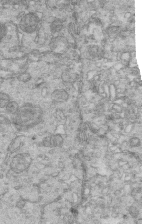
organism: Mouse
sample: Multiciliated cells